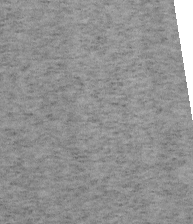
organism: Mouse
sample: OT-I killer T cells with ID8 ovarian cancer cells